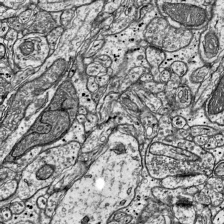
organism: Mouse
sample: Visual Cortex